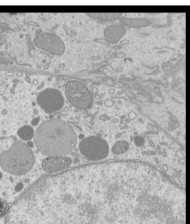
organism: Mouse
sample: Cilia; mouse epididymis